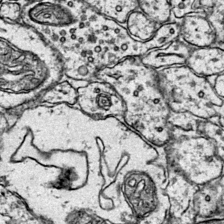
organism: Mouse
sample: Primary visual cortex